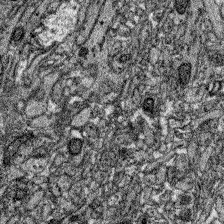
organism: Zebrafish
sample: Larval olfactory bulb